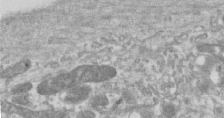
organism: Human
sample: Centriole in RPE cells